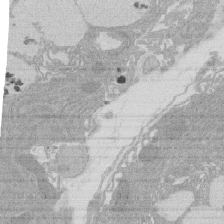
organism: Rat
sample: Salivary granule